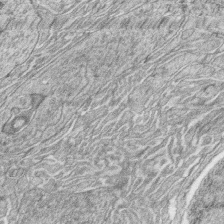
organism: Zebrafish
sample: synaptic ribbons in rod cells and cone cells